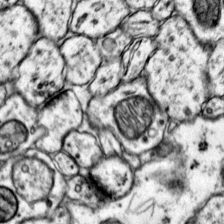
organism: Mouse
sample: Primary visual cortex